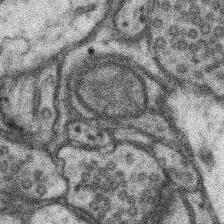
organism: Mouse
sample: Somatosensory cortex neuropil